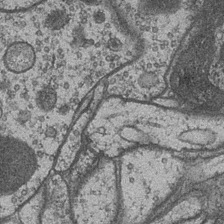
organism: Drosophila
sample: Optic medulla